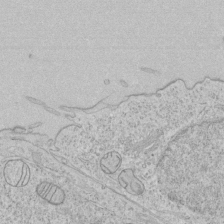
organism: Human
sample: Mitochondria in HCT116 cells